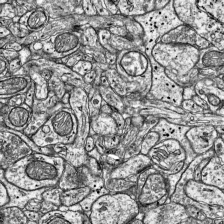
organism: Mouse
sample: Visual Cortex